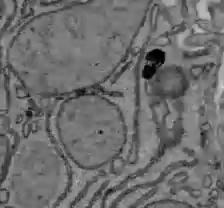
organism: C57BL Mouse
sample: Liver